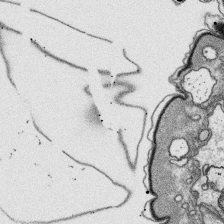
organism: Platynereis dumerilii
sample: Parapodia